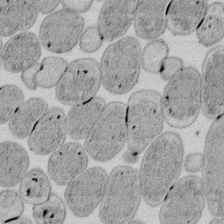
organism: E. coli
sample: Bacterial nucleoid